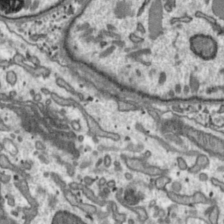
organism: Toxoplasma gondii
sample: Parasites in a vacuole inside a host cell